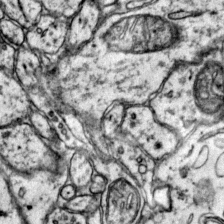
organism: Mouse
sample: Primary visual cortex